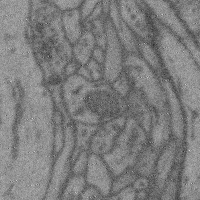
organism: Mouse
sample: Cerebral cortex